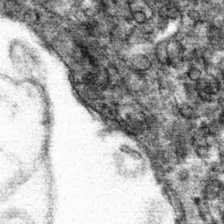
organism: Mouse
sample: Mouse hepatocytes